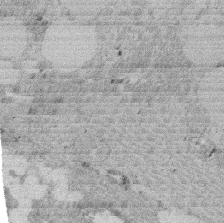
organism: Rat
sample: Salivary granule